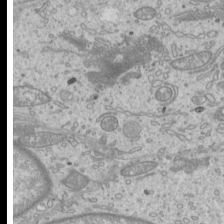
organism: Mouse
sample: Cilia; mouse epididymis